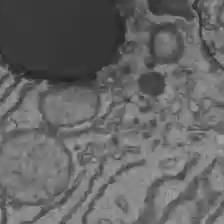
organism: C57BL Mouse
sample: Liver